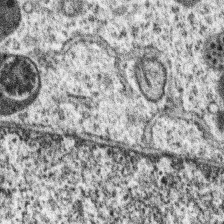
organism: Human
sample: HeLa cells